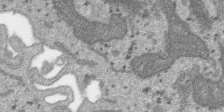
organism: Human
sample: Lung epithelial cells infected with SARS-CoV-2